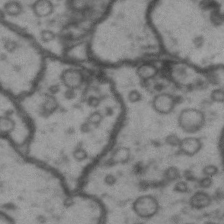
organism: Drosophila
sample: Brain